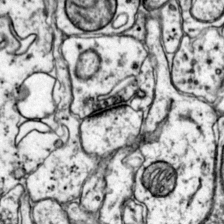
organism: Mouse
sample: Primary visual cortex